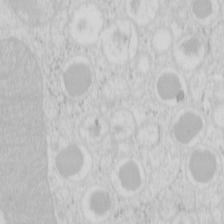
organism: Mouse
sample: Pancreas